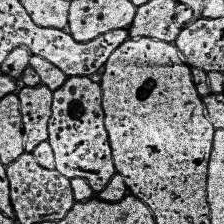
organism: Human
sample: Temporal Lobe